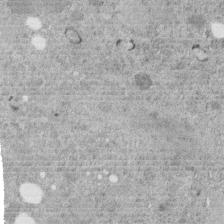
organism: C. elegans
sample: C. elegans embryo early stage